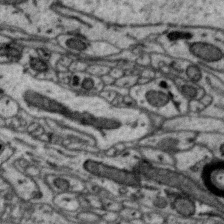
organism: Zebra finch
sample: Brain